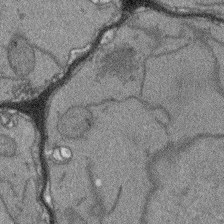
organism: Arabidopsis thaliana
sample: Root tip